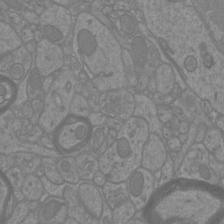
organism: Mouse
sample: Cortical neurons